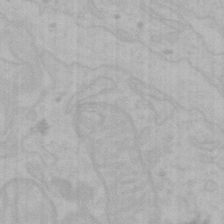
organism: Mouse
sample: Choroid plexus